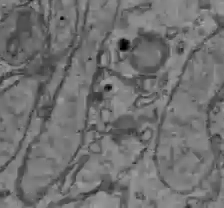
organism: C57BL Mouse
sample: Liver